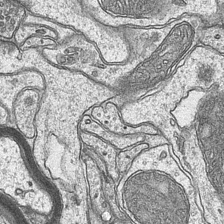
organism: Mouse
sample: CA1 Hippocampus